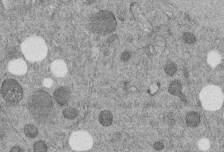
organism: C. elegans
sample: C. elegans embryo early stage